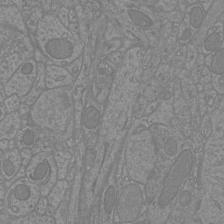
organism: Mouse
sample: Cortical neurons